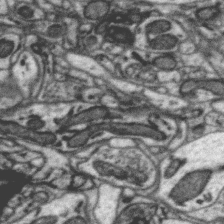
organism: Zebra finch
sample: Brain